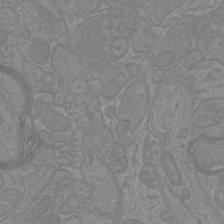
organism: Mouse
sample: Cortical neurons